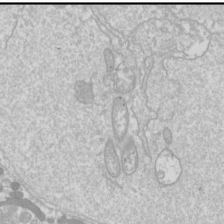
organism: Drosophila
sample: Cell division; meiosis; drosophila spermatocytes